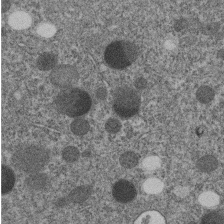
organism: C. elegans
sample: C. elegans embryo early stage